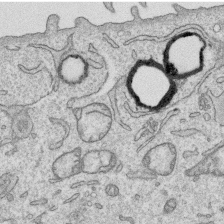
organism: Human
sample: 1205lu cells